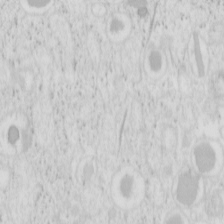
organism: Mouse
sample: Pancreas